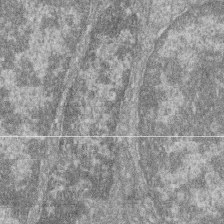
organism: Zebrafish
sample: Cilia; retinal pigment epithelium